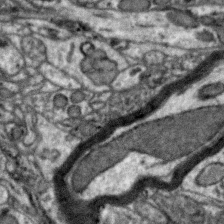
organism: Zebra finch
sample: Brain